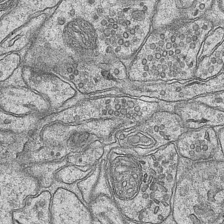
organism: Mouse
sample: CA1 Hippocampus